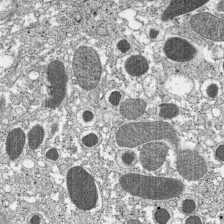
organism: C57BL Mouse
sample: Pancreatic islet